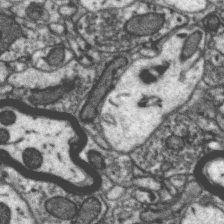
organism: Zebra finch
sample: Brain